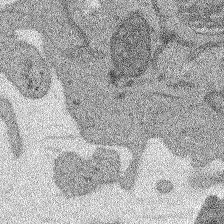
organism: Human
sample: HeLa cells